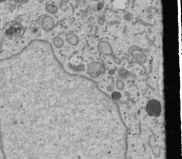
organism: Human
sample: Mitochondria in U2OS cells